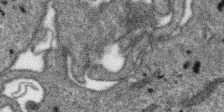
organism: Human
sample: Lung epithelial cells infected with SARS-CoV-2